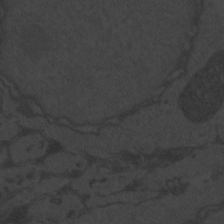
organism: Zebrafish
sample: Macrophage infected with Toxoplasma gondii